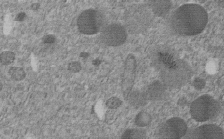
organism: C. elegans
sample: C. elegans embryo early stage